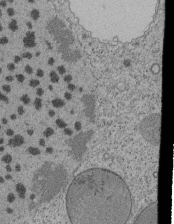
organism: Tetrahymena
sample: Cilia in tetrahymena